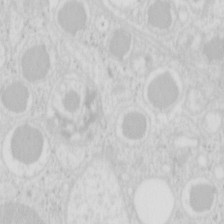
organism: Mouse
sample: Pancreas